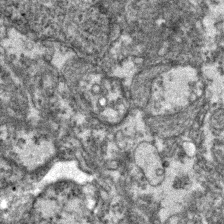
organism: Zebrafish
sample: Zebrafish embryo